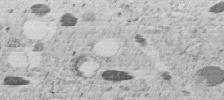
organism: C. elegans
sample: C. elegans embryo early stage